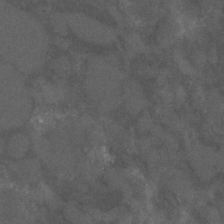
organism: C. elegans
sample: C. elegans embryo